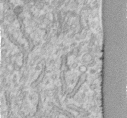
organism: Human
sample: Centriole in fibroblast cells